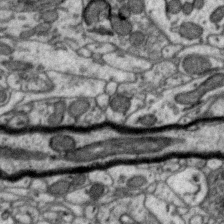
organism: Zebra finch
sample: Brain